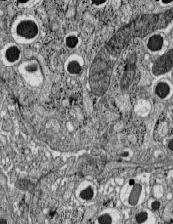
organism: C57BL Mouse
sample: Pancreatic islet